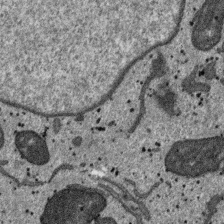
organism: Human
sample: Lung epithelial cells, uninfected (mock) control